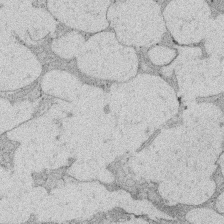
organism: Rat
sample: Salivary granule